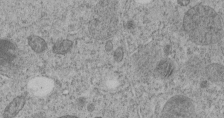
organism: C. elegans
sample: C. elegans embryo early stage